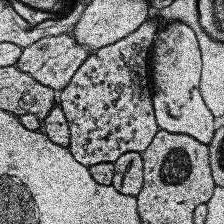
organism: Human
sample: Temporal Lobe